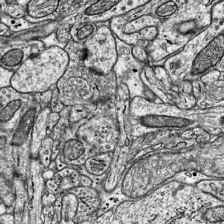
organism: Mouse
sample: Visual Cortex